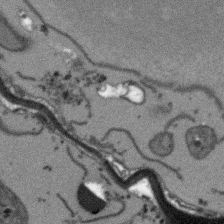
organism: Arabidopsis thaliana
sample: Root tip